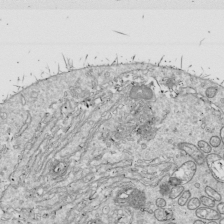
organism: Drosophila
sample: Cell division; meiosis; drosophila spermatocytes